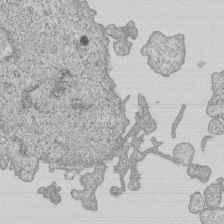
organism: Human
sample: MDA-MB-231 cells